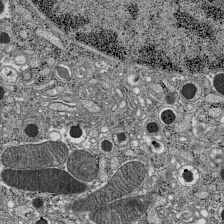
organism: C57BL Mouse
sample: Pancreatic islet